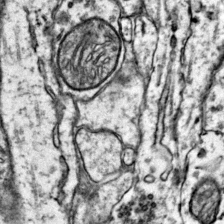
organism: Mouse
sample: Primary visual cortex